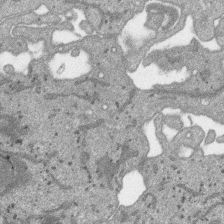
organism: Human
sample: Lung epithelial cells infected with SARS-CoV-2